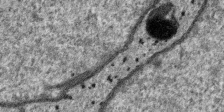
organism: Human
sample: Lung epithelial cells, uninfected (mock) control